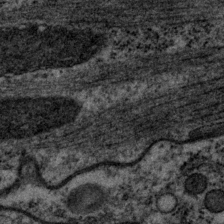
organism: P. pacificus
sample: Pharynx